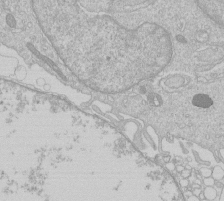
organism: Human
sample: Macrophage cells